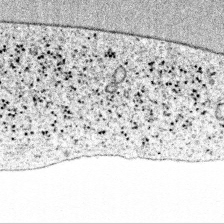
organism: Human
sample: HeLa cells